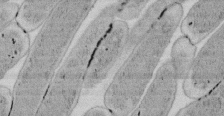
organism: E. coli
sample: Bacterial nucleoid